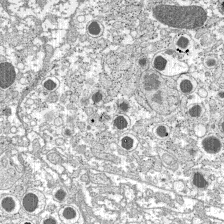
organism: C57BL Mouse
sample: Pancreatic islet